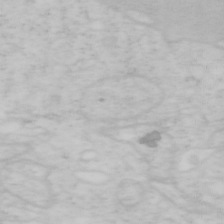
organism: Mouse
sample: OT-I killer T cells with ID8 ovarian cancer cells